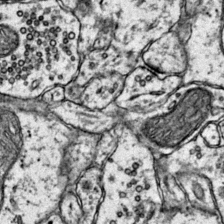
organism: Mouse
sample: Primary visual cortex